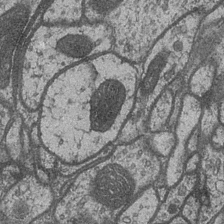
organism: Drosophila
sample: Optic medulla